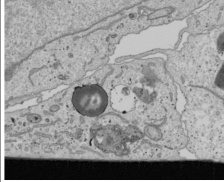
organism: Human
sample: Mitochondria in U2OS cells